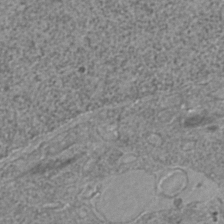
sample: Trachea